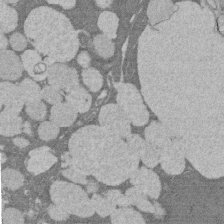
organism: Rat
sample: Salivary granule